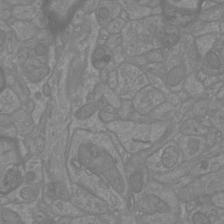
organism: Mouse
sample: Cortical neurons